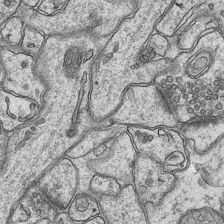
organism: Mouse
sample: CA1 Hippocampus